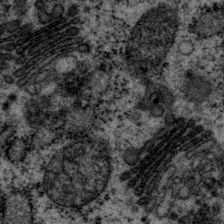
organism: P. pacificus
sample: Pharynx